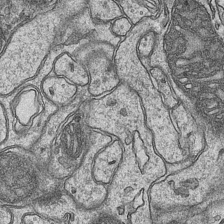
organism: Mouse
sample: CA1 Hippocampus